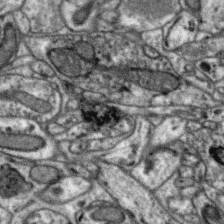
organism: Zebra finch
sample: Brain